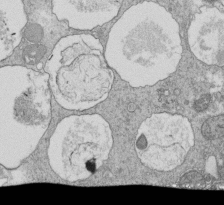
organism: Tetrahymena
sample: Cilia in tetrahymena